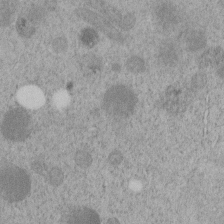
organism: C. elegans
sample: C. elegans embryo early stage